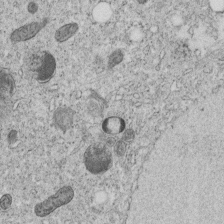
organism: C. elegans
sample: C. elegans embryo early stage